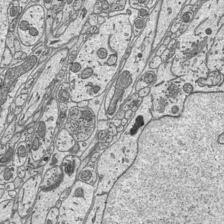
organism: Mouse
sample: Suprachiasmatic nucleus